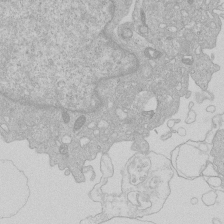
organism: Human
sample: Macrophage cells